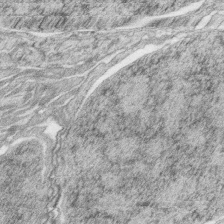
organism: Zebrafish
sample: synaptic ribbons in rod cells and cone cells